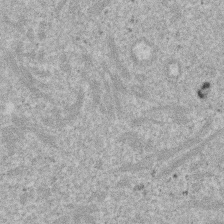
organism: Mouse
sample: Dividing mouse embryo 1 cell stage